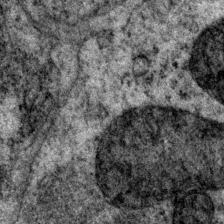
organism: P. pacificus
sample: Pharynx